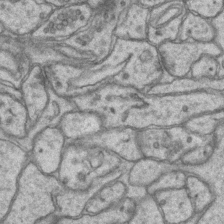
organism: Mouse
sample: CA1 Hippocampus